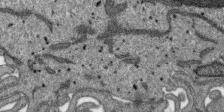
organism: Human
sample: Lung epithelial cells, uninfected (mock) control